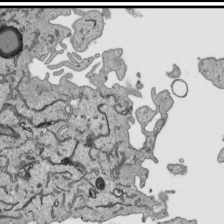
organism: Human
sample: Mitochondria in HCT116 cells